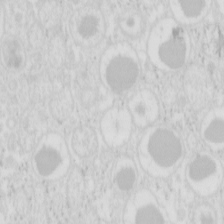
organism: Mouse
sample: Pancreas